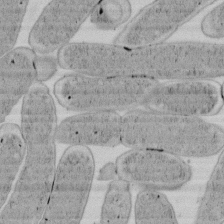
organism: E. coli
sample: Bacterial nucleoid